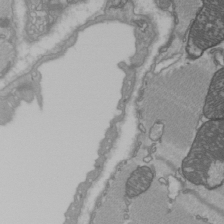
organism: C57BL Mouse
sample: Heart